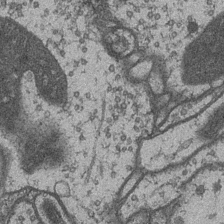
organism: Drosophila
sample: Optic medulla